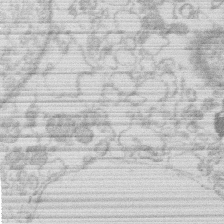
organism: Human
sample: Macrophage cells